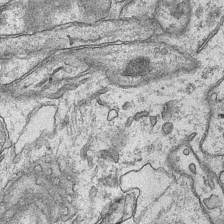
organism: Mouse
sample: CA1 Hippocampus